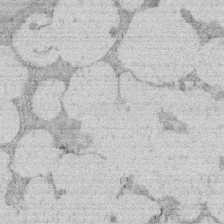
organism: Rat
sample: Salivary granule